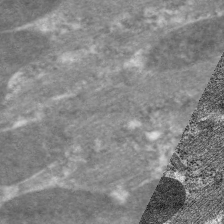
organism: C. elegans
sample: Pharynx